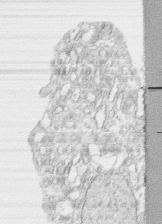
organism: Human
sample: CRL-1474